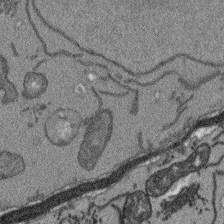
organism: Arabidopsis thaliana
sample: Root tip